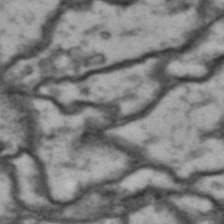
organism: Drosophila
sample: Brain